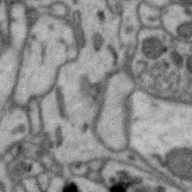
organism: Zebra finch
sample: Brain